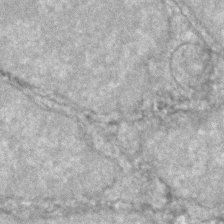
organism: Zebrafish